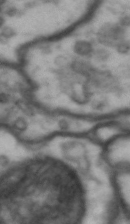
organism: Drosophila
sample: Brain